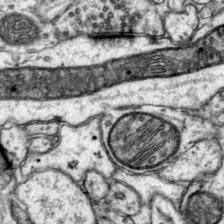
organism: Mouse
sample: Primary visual cortex